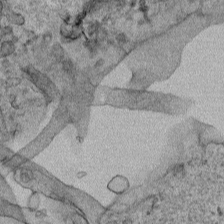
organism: Human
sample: Mitochondria in HCT116 cells